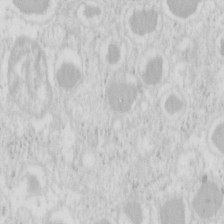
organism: Mouse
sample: Pancreas